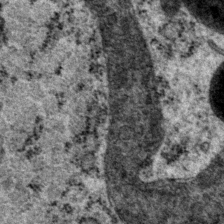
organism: P. pacificus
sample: Pharynx